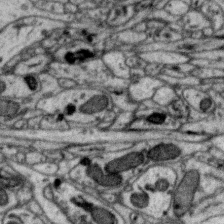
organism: Zebra finch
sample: Brain